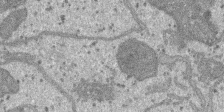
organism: Human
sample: Lung epithelial cells infected with SARS-CoV-2